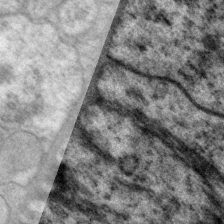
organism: P. pacificus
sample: Pharynx